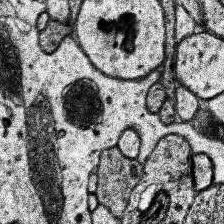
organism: Human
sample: Temporal Lobe